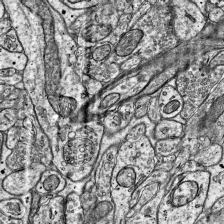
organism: Mouse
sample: Visual Cortex